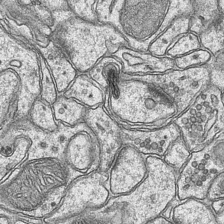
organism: Mouse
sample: CA1 Hippocampus